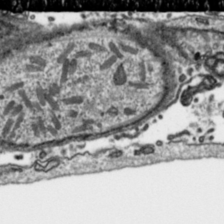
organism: Toxoplasma gondii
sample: Parasites in a vacuole inside a host cell